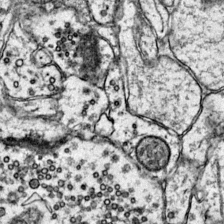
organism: Mouse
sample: Primary visual cortex